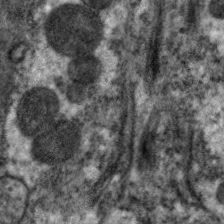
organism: C. elegans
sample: Pharynx